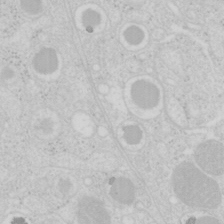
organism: Mouse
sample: Pancreas